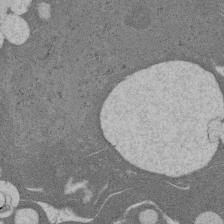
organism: Rat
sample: Salivary granule